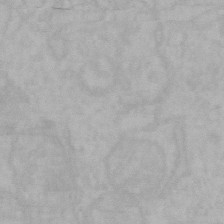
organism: Mouse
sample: Choroid plexus